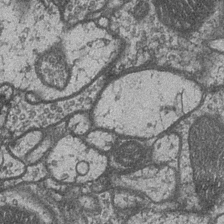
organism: Drosophila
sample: Optic medulla